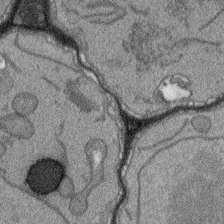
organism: Arabidopsis thaliana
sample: Root tip